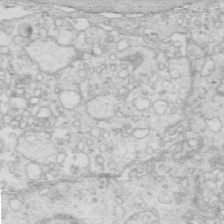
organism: Mouse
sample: Multiciliated cells